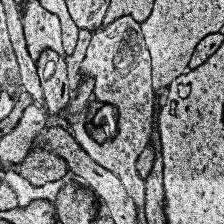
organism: Human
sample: Temporal Lobe